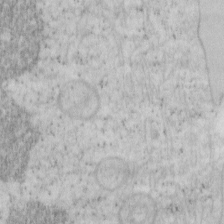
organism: Human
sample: HeLa cells